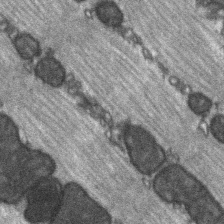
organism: C57BL Mouse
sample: Soleus